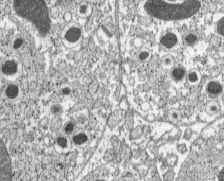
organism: C57BL Mouse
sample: Pancreatic islet